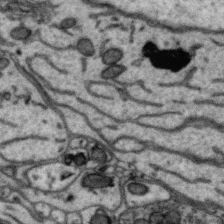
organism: Zebra finch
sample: Brain